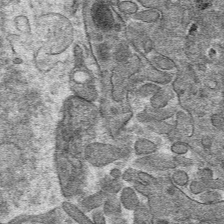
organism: Mouse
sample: Mouse hepatocytes